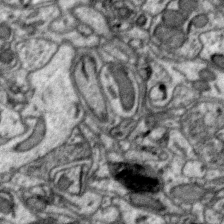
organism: Zebra finch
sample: Brain